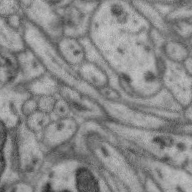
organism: Zebra finch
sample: Brain